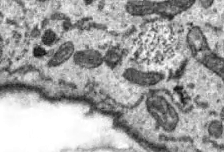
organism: Human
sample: HeLa cells